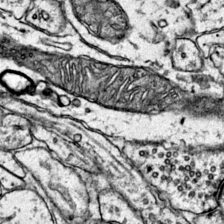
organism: Mouse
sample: Primary visual cortex